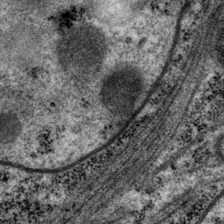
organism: P. pacificus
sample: Pharynx